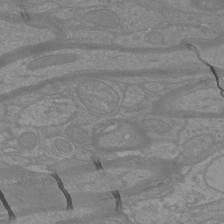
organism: Mouse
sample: Cortical neurons